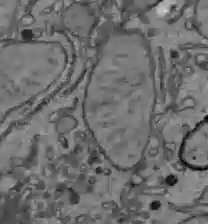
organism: C57BL Mouse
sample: Liver